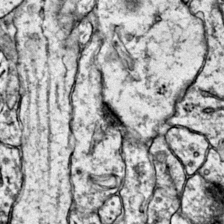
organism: Mouse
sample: Primary visual cortex